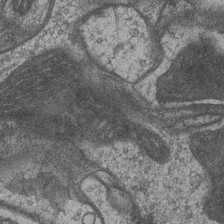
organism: Drosophila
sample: Optic medulla